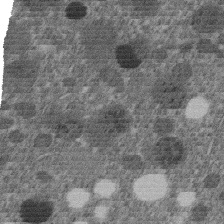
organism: C. elegans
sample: C. elegans embryo early stage